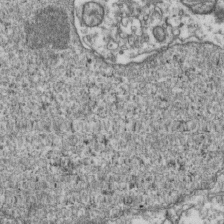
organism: Human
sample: Activated Jurkat CD4+ T cells